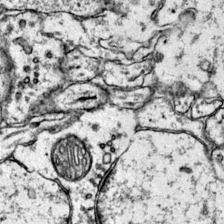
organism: Mouse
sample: Primary visual cortex